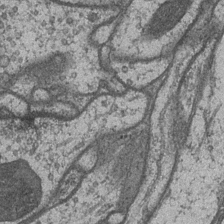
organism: Drosophila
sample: Optic medulla